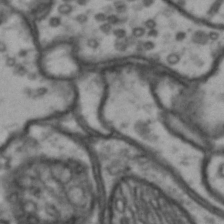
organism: Drosophila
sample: Brain